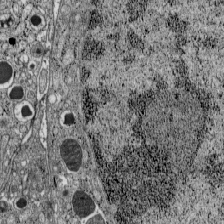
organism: C57BL Mouse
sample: Pancreatic islet